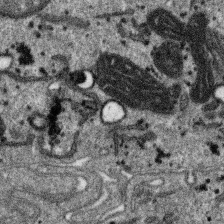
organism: Human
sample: Lung epithelial cells infected with SARS-CoV-2